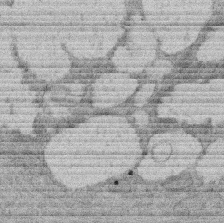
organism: Rat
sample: Salivary granule